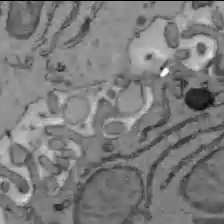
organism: C57BL Mouse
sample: Liver